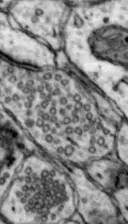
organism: Mouse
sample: Nucleus accumbens